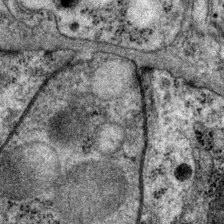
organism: P. pacificus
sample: Pharynx